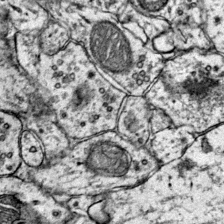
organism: Mouse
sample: Primary visual cortex